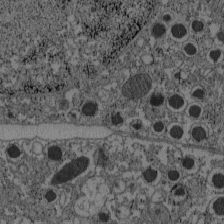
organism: C57BL Mouse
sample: Pancreatic islet